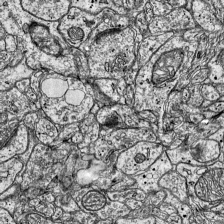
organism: Mouse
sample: Visual Cortex